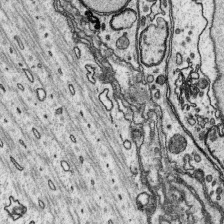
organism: Platynereis dumerilii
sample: Parapodia